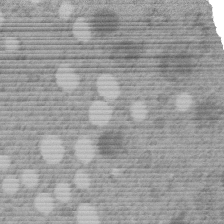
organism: C. elegans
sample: C. elegans embryo early stage